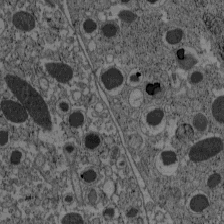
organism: C57BL Mouse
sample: Pancreatic islet